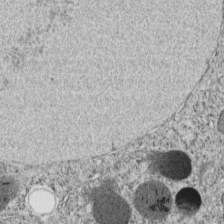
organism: C. elegans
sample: C. elegans embryo early stage